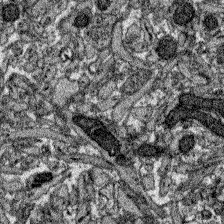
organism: Zebrafish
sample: Larval olfactory bulb